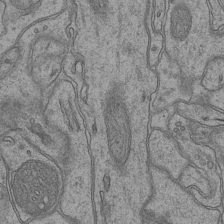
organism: Mouse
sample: CA1 Hippocampus